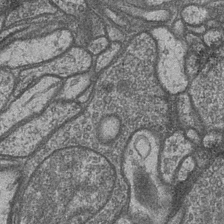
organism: Drosophila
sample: Optic medulla